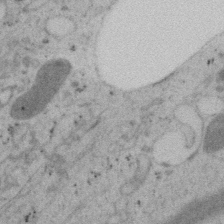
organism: Human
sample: HeLa cells